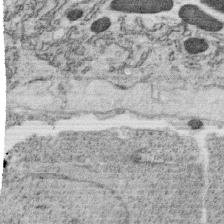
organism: C. elegans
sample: C. elegans oocyte; sperm cells